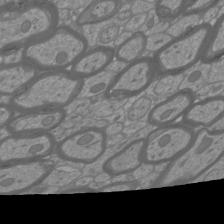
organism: Mouse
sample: Cortical neurons